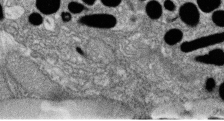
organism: Zebrafish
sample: Cilia; retinal pigment epithelium